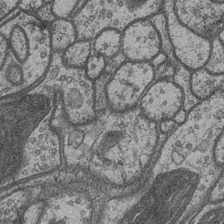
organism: Drosophila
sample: Optic medulla